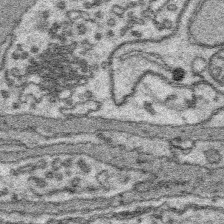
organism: Platynereis dumerilii